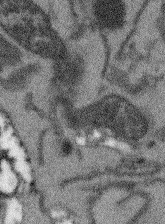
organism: Arabidopsis thaliana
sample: Root tip